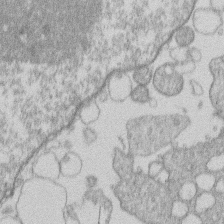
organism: Human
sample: Macrophage cells